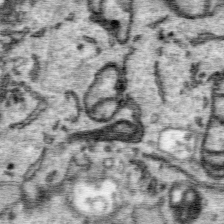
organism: Human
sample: HeLa cells